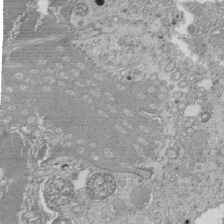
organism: Tetrahymena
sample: Cilia in tetrahymena